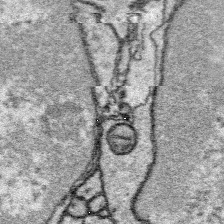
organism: Platynereis dumerilii